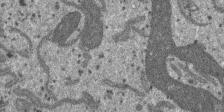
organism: Human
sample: Lung epithelial cells infected with SARS-CoV-2